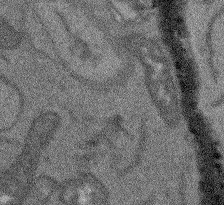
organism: Arabidopsis thaliana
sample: Root tip